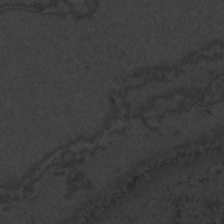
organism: Zebrafish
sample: Macrophage infected with Toxoplasma gondii